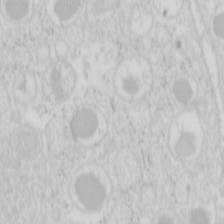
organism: Mouse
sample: Pancreas